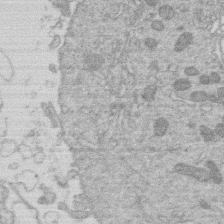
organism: Human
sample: Macrophage cells